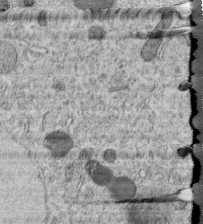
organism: C. elegans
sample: C. elegans embryo early stage